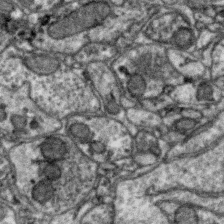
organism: Zebra finch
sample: Brain